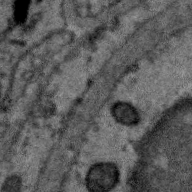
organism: Zebra finch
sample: Brain